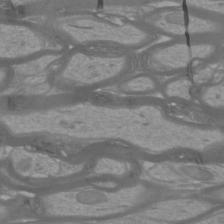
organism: Mouse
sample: Cortical neurons